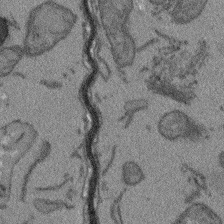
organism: Arabidopsis thaliana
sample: Root tip